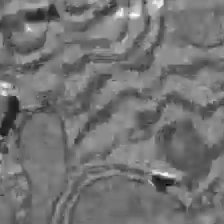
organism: C57BL Mouse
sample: Liver